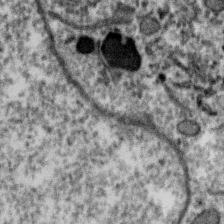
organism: Zebra finch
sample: Brain